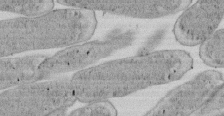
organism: E. coli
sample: Bacterial nucleoid